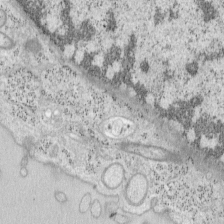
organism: Mouse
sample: OT-I killer T cells with ID8 ovarian cancer cells